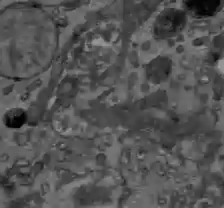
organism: C57BL Mouse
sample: Liver